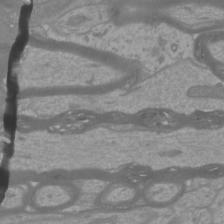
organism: Mouse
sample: Cortical neurons